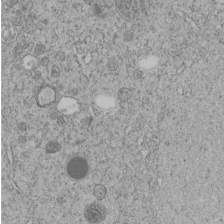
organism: C. elegans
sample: C. elegans embryo early stage